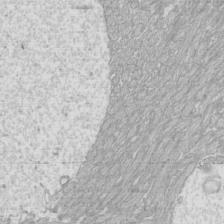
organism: Mouse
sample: Cilia; mouse epididymis